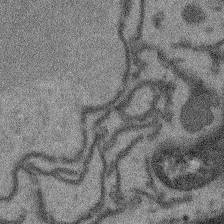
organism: Arabidopsis thaliana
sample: Root tip